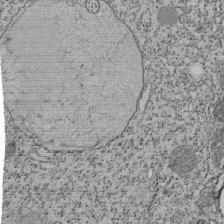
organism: Tetrahymena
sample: Cilia in tetrahymena